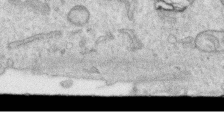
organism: Human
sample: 1205lu cells